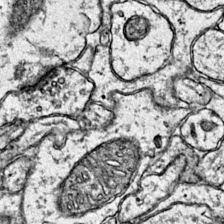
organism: Mouse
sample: Primary visual cortex